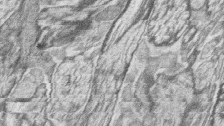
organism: Zebrafish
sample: synaptic ribbons in rod cells and cone cells